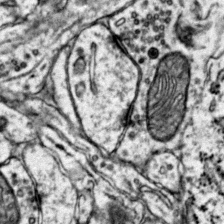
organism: Mouse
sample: Primary visual cortex